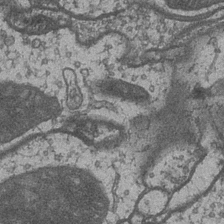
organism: Drosophila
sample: Optic medulla